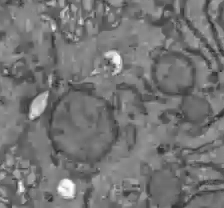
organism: C57BL Mouse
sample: Liver